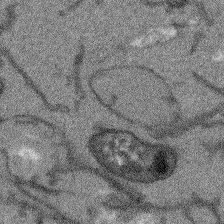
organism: Arabidopsis thaliana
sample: Root tip